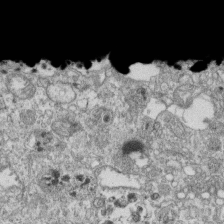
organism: Human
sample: HeLa cell HIV synapse